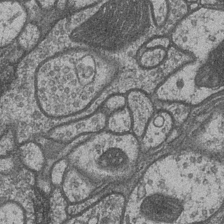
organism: Drosophila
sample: Optic medulla